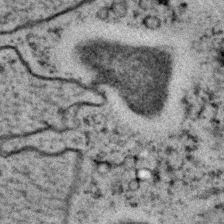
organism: C. elegans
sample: C. elegans embryo